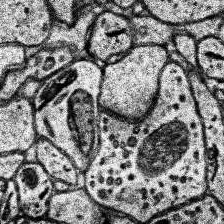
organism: Human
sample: Temporal Lobe